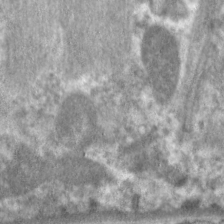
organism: C. elegans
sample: Pharynx